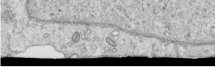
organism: Human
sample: Centriole in RPE cells